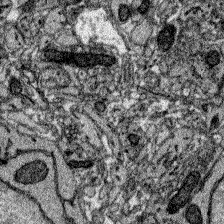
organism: Zebrafish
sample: Larval olfactory bulb